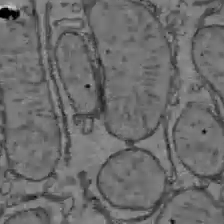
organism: C57BL Mouse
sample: Liver